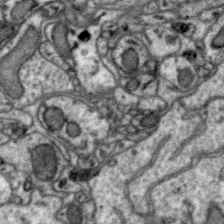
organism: Zebra finch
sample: Brain